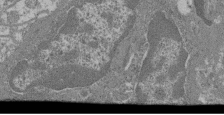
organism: Mouse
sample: Glomerulus